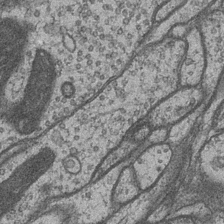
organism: Drosophila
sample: Optic medulla